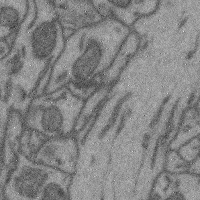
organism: Mouse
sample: Cerebral cortex